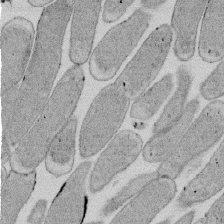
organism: E. coli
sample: Bacterial nucleoid